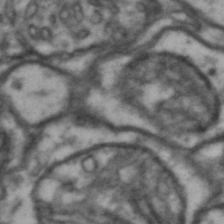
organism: Drosophila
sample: Brain